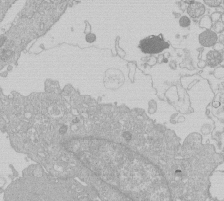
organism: Human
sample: Macrophage cells